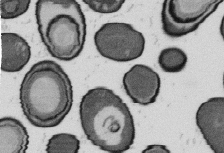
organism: B. subtilis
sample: Bacterial spore